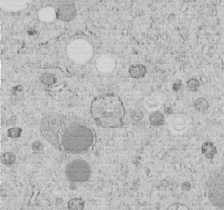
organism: C. elegans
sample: C. elegans embryo early stage